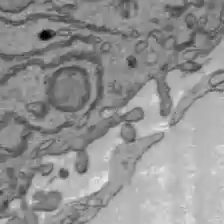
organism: C57BL Mouse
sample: Liver